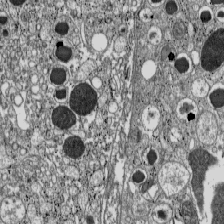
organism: C57BL Mouse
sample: Pancreatic islet